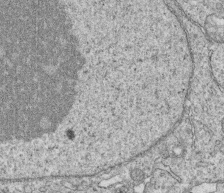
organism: Human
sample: HeLa cell HIV synapse